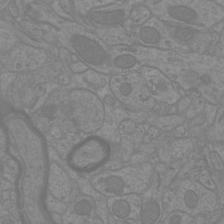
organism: Mouse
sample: Cortical neurons